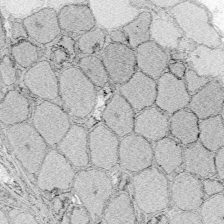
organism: Zebrafish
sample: Whole-Brain